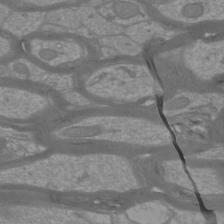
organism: Mouse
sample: Cortical neurons